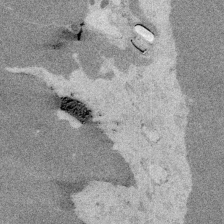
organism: Embia sp.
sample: Silk gland